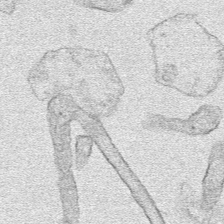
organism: Human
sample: Mitochondria in HCT116 cells